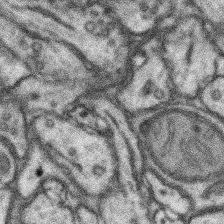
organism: Mouse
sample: Somatosensory cortex neuropil